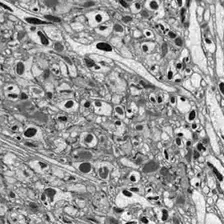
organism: Drosophila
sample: Optic lobe